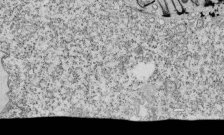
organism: Tetrahymena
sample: Cilia in tetrahymena